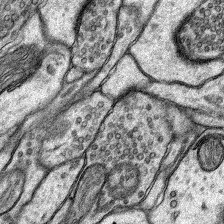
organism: Rat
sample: Hippocampus